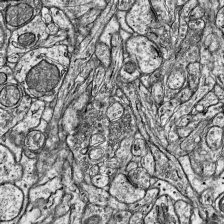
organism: Mouse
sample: Visual Cortex